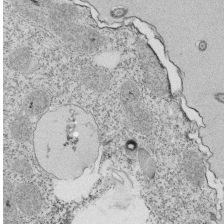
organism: Tetrahymena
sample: Cilia in tetrahymena